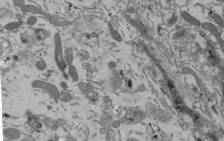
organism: Mouse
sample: ED-1 cell nuclei; centrioles